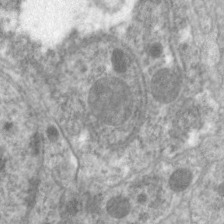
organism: C. elegans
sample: Pharynx